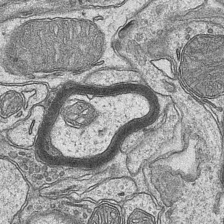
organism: Mouse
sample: CA1 Hippocampus